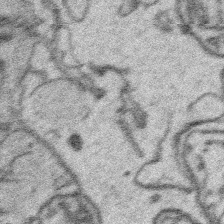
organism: Platynereis dumerilii